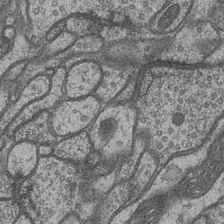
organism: Drosophila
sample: Optic medulla